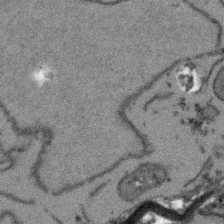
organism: Arabidopsis thaliana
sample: Root tip